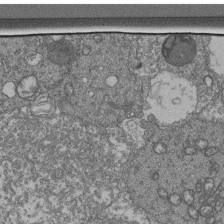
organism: Human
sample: Retinal organoid Rod and Cone cells